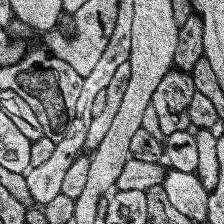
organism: Human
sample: Temporal Lobe